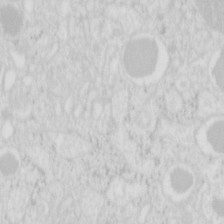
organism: Mouse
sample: Pancreas